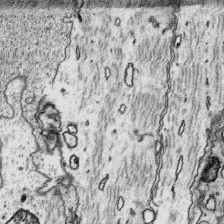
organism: Platynereis dumerilii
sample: Parapodia